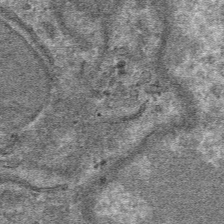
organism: Mouse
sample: Mouse hepatocytes